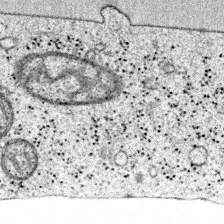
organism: Human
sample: HeLa cells